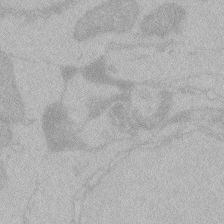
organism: Zebrafish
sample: Macrophage infected with Toxoplasma gondii